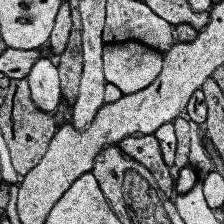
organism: Human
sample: Temporal Lobe